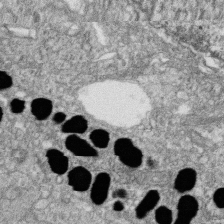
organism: Zebrafish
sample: Cilia; retinal pigment epithelium